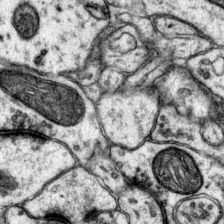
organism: Mouse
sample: Primary visual cortex